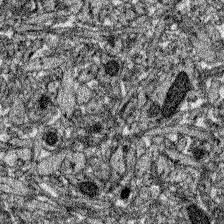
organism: Zebrafish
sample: Larval olfactory bulb